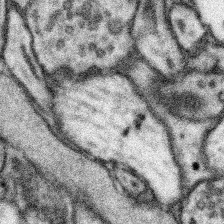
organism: Mouse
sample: Somatosensory cortex neuropil